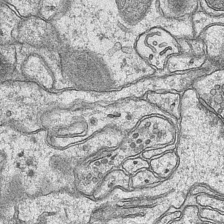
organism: Mouse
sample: CA1 Hippocampus